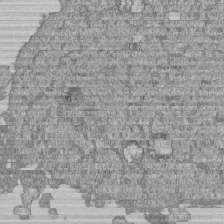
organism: Human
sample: MDA-MB-231 cells